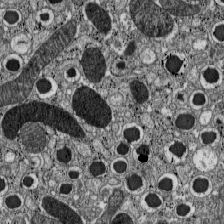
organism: C57BL Mouse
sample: Pancreatic islet